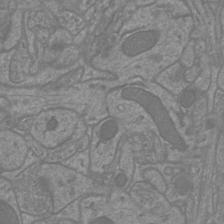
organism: Mouse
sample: Cortical neurons